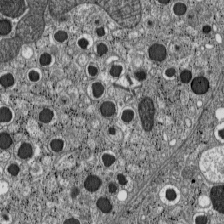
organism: C57BL Mouse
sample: Pancreatic islet